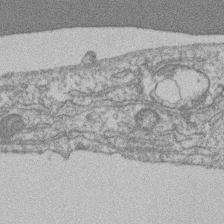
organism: Mouse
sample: T cell stromal cell synapse